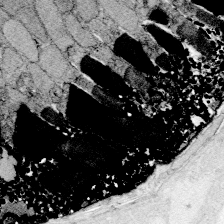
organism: Zebrafish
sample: Whole-Brain